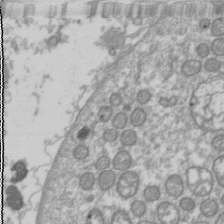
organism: Drosophila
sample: Cell division; meiosis; drosophila spermatocytes